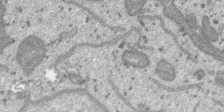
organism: Human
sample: Lung epithelial cells infected with SARS-CoV-2